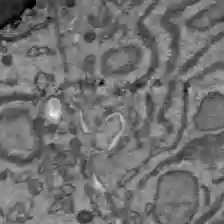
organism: C57BL Mouse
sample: Liver